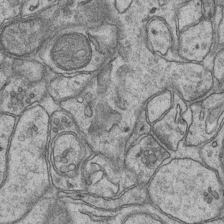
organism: Mouse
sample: CA1 Hippocampus